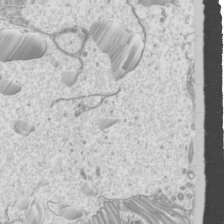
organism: Mouse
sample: Cilia; mouse epididymis